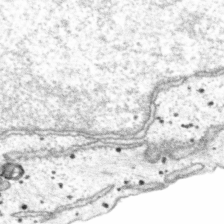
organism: Human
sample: HeLa cells